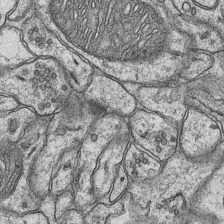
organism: Mouse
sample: CA1 Hippocampus